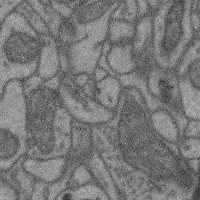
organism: Mouse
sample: Cerebral cortex